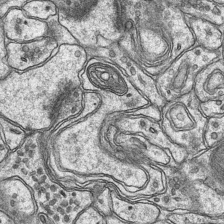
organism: Mouse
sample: CA1 Hippocampus